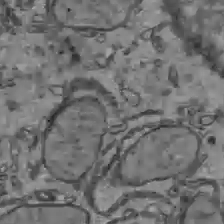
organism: C57BL Mouse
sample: Liver